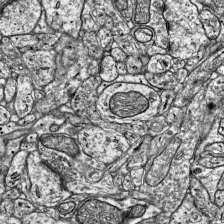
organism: Mouse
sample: Visual Cortex